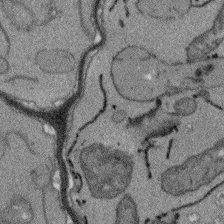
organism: Arabidopsis thaliana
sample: Root tip